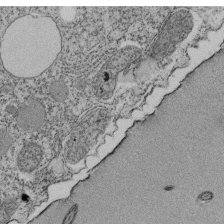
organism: Tetrahymena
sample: Cilia in tetrahymena